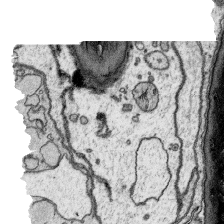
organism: Platynereis dumerilii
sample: Parapodia